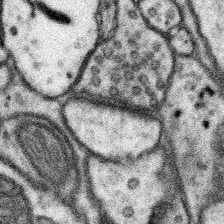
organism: Mouse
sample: Somatosensory cortex neuropil